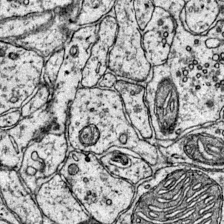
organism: Mouse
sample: Primary visual cortex